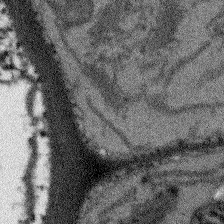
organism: Arabidopsis thaliana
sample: Root tip